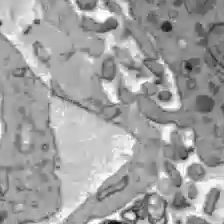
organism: C57BL Mouse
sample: Liver